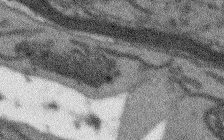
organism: Arabidopsis thaliana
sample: Root tip